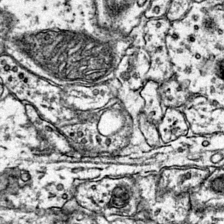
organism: Mouse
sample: Primary visual cortex